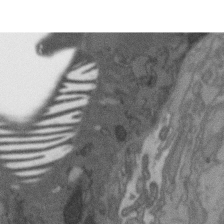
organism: C. elegans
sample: AFD neurons C. elegans